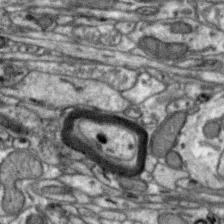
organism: Zebra finch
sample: Brain